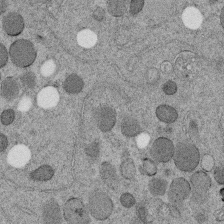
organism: C. elegans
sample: C. elegans embryo early stage